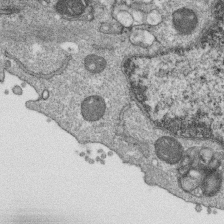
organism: African green monkey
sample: Vero E6 cells infected with SARS-CoV-2